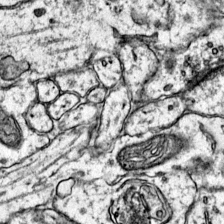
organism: Mouse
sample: Primary visual cortex